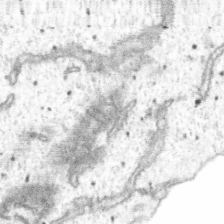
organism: Human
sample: HeLa cells